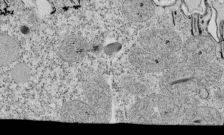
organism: Tetrahymena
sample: Cilia in tetrahymena